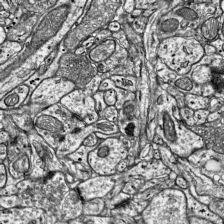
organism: Mouse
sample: Visual Cortex